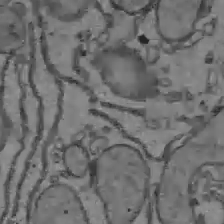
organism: C57BL Mouse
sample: Liver